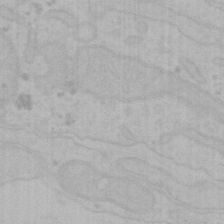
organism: Mouse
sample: Choroid plexus